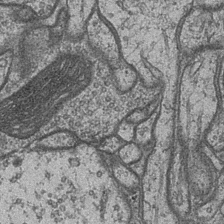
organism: Drosophila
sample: Optic medulla